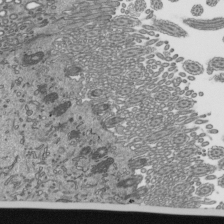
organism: Mouse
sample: Mouse epididymis efferent ductule cilia